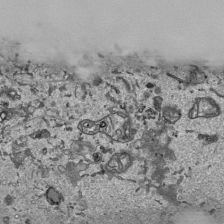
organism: Human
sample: Mitochondria in HCT116 cells